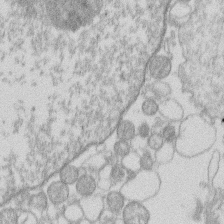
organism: Human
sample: Macrophage cells